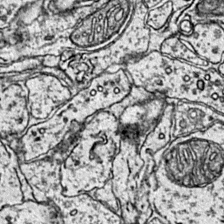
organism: Mouse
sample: Primary visual cortex